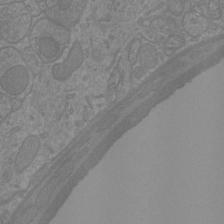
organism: Mouse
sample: Cortical neurons